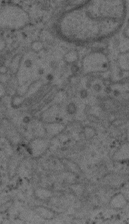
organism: Human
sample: HeLa cells